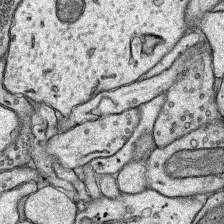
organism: Rat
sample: Hippocampus